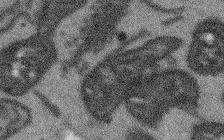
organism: Arabidopsis thaliana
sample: Root tip